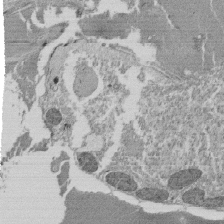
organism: Tetrahymena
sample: Cilia in tetrahymena